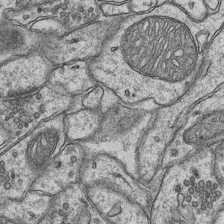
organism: Mouse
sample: CA1 Hippocampus